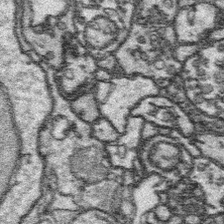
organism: Platynereis dumerilii